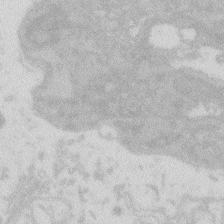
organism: Zebrafish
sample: Macrophage